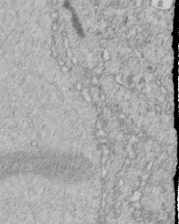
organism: C. elegans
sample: C. elegans embryo early stage